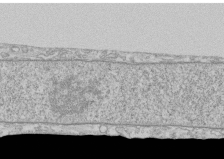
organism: Human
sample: CRL-1474